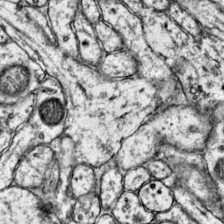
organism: Mouse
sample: Primary visual cortex